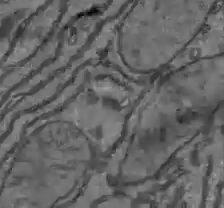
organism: C57BL Mouse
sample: Liver